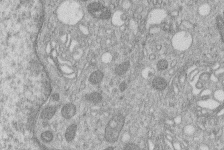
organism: Human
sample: Macrophage cells